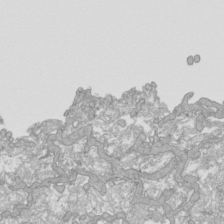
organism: Human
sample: Mitochondria in HCT116 cells